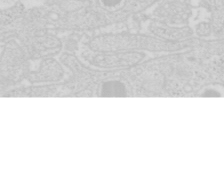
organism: Mouse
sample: Pancreas